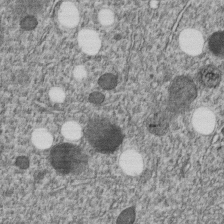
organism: C. elegans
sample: C. elegans embryo early stage